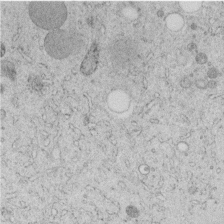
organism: C. elegans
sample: C. elegans embryo early stage